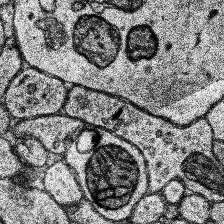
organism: Human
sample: Temporal Lobe